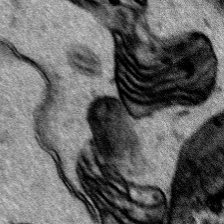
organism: Human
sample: Mitochondria in HCT116 cells